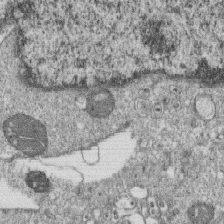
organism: African green monkey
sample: Vero E6 cells infected with SARS-CoV-2